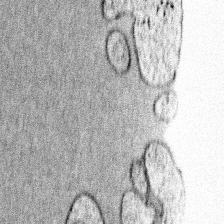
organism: Human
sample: HeLa cells